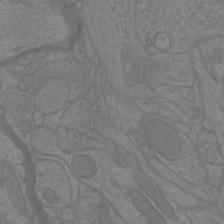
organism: Mouse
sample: Cortical neurons